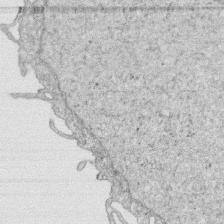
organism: Human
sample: HeLa cell HIV synapse